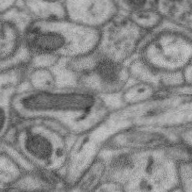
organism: Zebra finch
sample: Brain